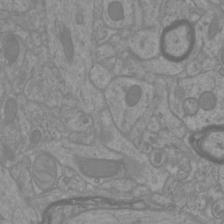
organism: Mouse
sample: Cortical neurons